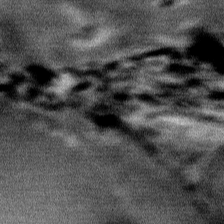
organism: Mouse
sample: Mouse Salivary gland